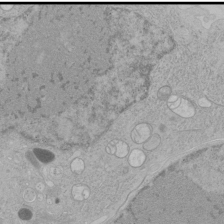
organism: Human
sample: Mitochondria in HCT116 cells